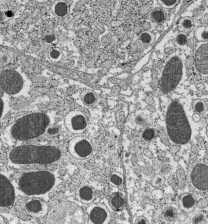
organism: C57BL Mouse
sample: Pancreatic islet